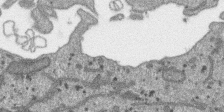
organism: Human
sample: Lung epithelial cells infected with SARS-CoV-2